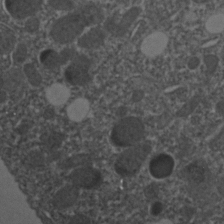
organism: C. elegans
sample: C. elegans embryo